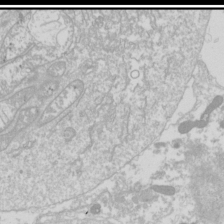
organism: Drosophila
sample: Cell division; meiosis; drosophila spermatocytes